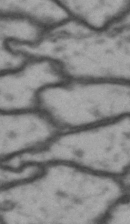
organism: Drosophila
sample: Brain